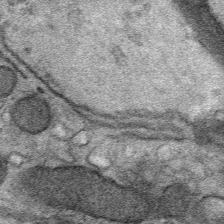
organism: Mouse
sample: Mouse Salivary gland